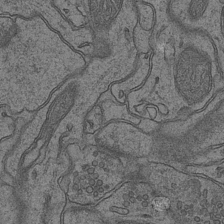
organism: Mouse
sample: CA1 Hippocampus